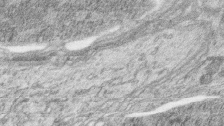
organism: Zebrafish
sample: synaptic ribbons in rod cells and cone cells